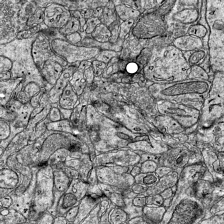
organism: Mouse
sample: Visual Cortex